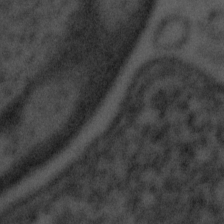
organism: Tuwongella immobilis